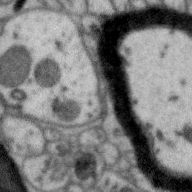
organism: Zebra finch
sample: Brain